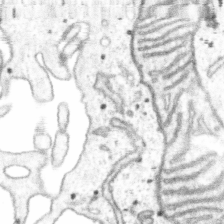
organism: Human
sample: HeLa cells